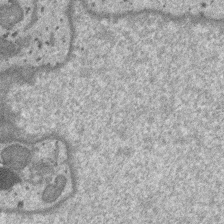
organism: Human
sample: Lung epithelial cells infected with SARS-CoV-2